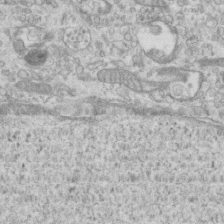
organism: Mouse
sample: Centriole in ependymal cells